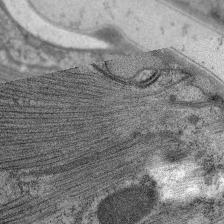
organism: C. elegans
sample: Pharynx